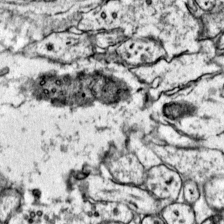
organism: Mouse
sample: Primary visual cortex